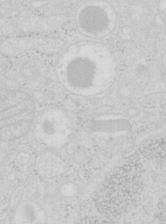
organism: Mouse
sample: Pancreas